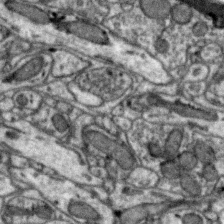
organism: Zebra finch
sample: Brain